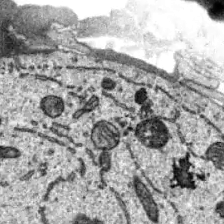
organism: Human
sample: HeLa cells